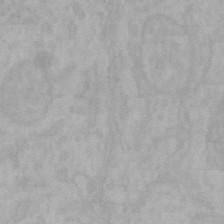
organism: Mouse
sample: Choroid plexus